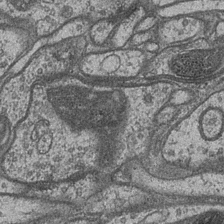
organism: Drosophila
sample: Optic medulla